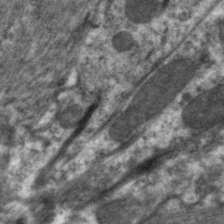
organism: C. elegans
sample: Pharynx